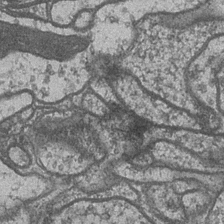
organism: Drosophila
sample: Optic medulla